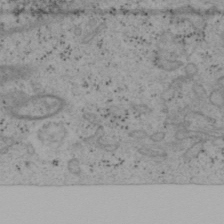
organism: Human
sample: HeLa cells